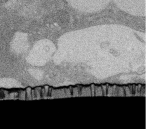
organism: Rat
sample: Salivary granule